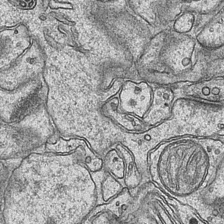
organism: Mouse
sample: CA1 Hippocampus